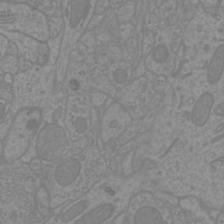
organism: Mouse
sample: Cortical neurons